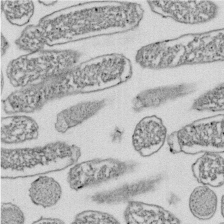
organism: E. coli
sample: Bacterial nucleoid